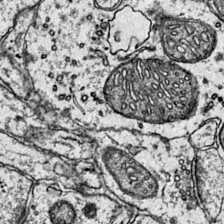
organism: Mouse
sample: Primary visual cortex